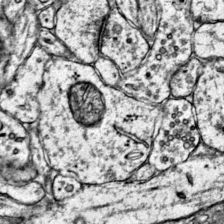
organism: Mouse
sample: Primary visual cortex